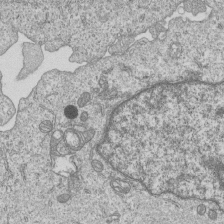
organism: Human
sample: MDA-MB-231 cells